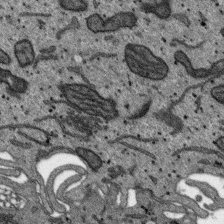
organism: Human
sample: Lung epithelial cells, uninfected (mock) control